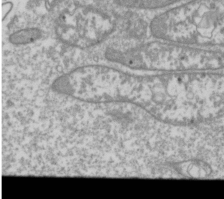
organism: Drosophila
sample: Cell division; meiosis; drosophila spermatocytes